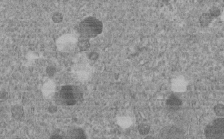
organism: C. elegans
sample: C. elegans embryo early stage